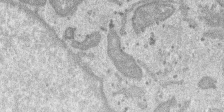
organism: Human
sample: Lung epithelial cells infected with SARS-CoV-2